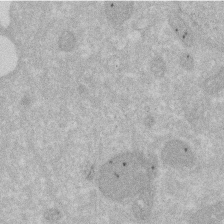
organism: Human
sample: HIV infected U937 cells